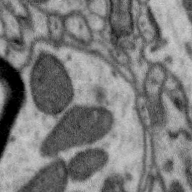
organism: Zebra finch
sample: Brain